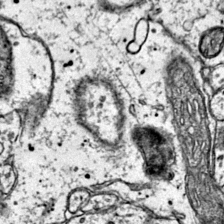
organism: Mouse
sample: Primary visual cortex